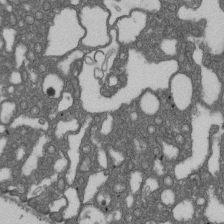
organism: Drosophila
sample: Nephrocyte